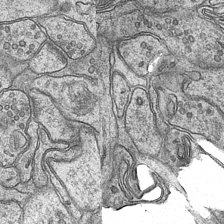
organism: Mouse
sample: CA1 Hippocampus